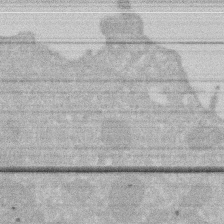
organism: Human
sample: HIV infected U937 cells